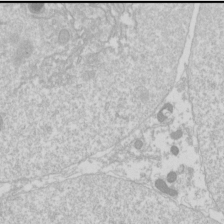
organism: Drosophila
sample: Cell division; meiosis; drosophila spermatocytes